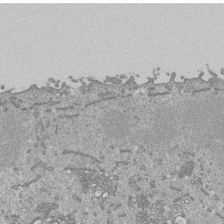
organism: Mouse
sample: ED-1 cell nuclei; centrioles